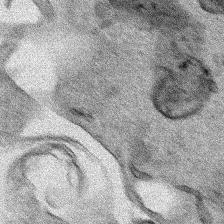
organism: Human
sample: Mitochondria in HCT116 cells